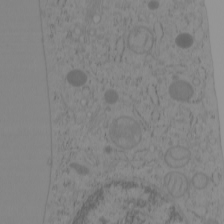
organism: Human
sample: HeLa cells